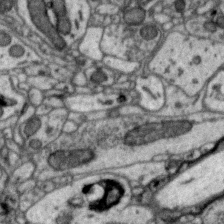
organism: Zebra finch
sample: Brain